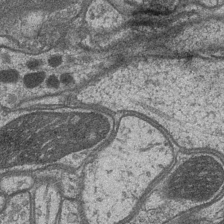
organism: Drosophila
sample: Optic medulla